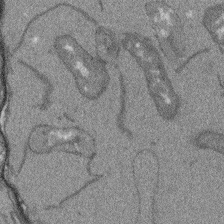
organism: Arabidopsis thaliana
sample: Root tip